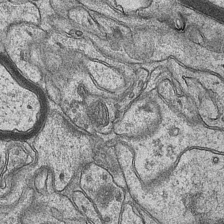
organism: Mouse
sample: CA1 Hippocampus